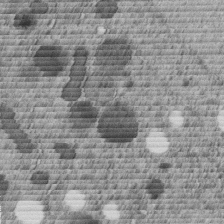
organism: C. elegans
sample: C. elegans embryo early stage